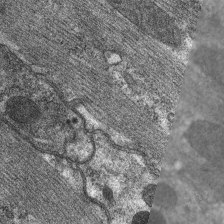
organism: C. elegans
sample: Pharynx